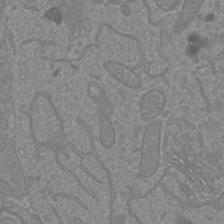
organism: Mouse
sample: Cortical neurons